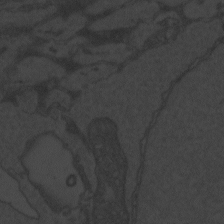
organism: Zebrafish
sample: Macrophage infected with Toxoplasma gondii